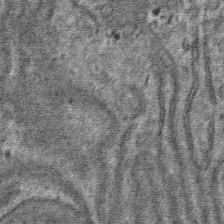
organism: Mouse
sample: Mouse hepatocytes